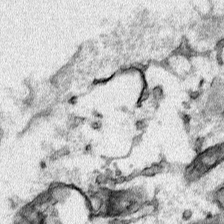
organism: Human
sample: Mitochondria in HCT116 cells